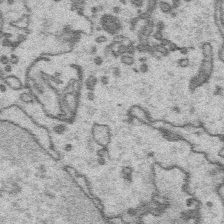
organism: Platynereis dumerilii